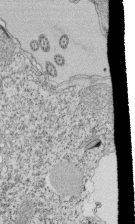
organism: Tetrahymena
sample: Cilia in tetrahymena